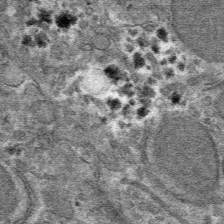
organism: Mouse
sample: Mouse hepatocytes